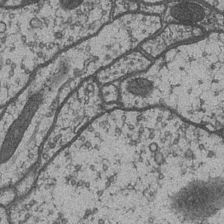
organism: Drosophila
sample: Optic medulla